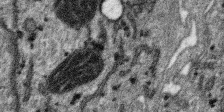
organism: Human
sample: Lung epithelial cells infected with SARS-CoV-2